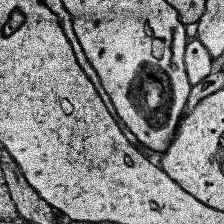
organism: Human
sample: Temporal Lobe